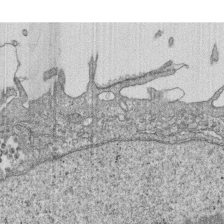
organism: Human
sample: HeLa cell HIV synapse